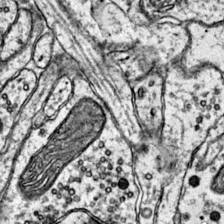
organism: Mouse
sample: Primary visual cortex